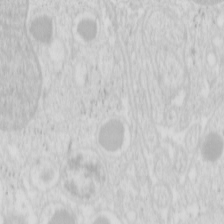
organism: Mouse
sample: Pancreas